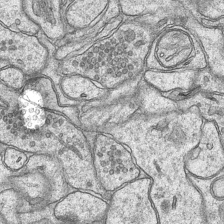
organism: Mouse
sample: CA1 Hippocampus